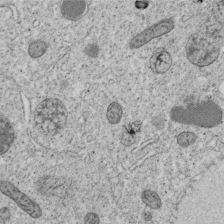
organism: C. elegans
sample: C. elegans embryo early stage